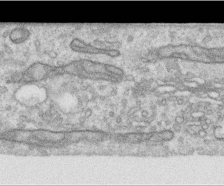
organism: Human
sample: Centriole in RPE cells